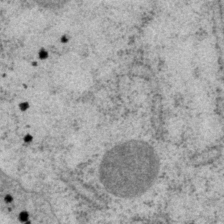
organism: P. pacificus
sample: Pharynx